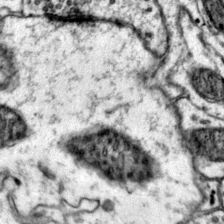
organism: Mouse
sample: Primary visual cortex